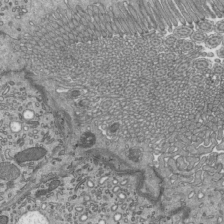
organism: Mouse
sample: Mouse epididymis efferent ductule cilia